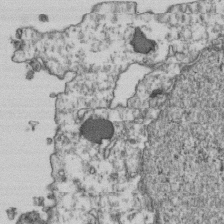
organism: Human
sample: Activated Jurkat CD4+ T cells